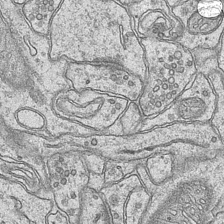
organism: Mouse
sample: CA1 Hippocampus